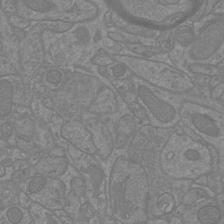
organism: Mouse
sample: Cortical neurons